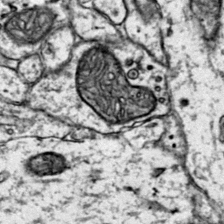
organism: Mouse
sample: Primary visual cortex